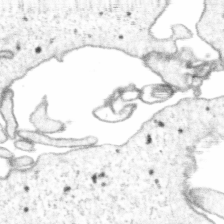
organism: Human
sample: HeLa cells